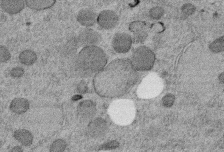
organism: C. elegans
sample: C. elegans embryo early stage